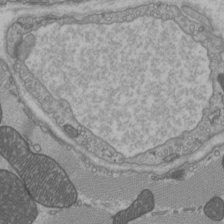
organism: C57BL Mouse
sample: Heart